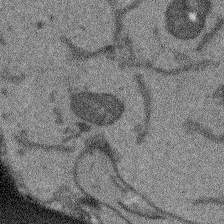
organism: Arabidopsis thaliana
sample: Root tip